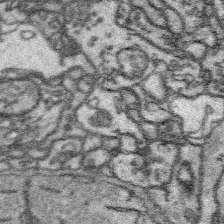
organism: Platynereis dumerilii